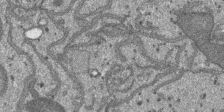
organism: Human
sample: Lung epithelial cells infected with SARS-CoV-2